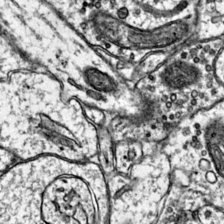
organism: Mouse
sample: Primary visual cortex